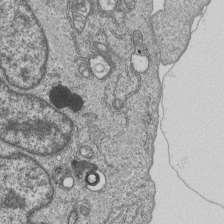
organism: Human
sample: MDA-MB-231 cells